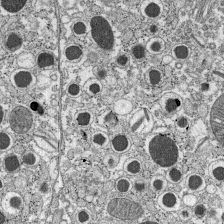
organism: C57BL Mouse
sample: Pancreatic islet